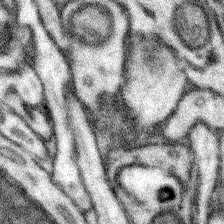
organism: Mouse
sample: Somatosensory cortex neuropil